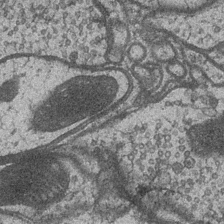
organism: Drosophila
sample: Optic medulla